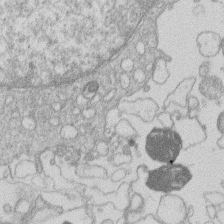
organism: Human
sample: Macrophage cells